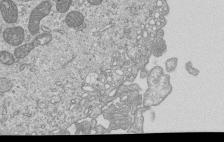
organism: Human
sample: MDA-MB-231 cells